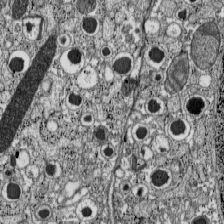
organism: C57BL Mouse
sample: Pancreatic islet